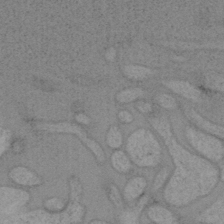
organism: Mouse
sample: OT-I killer T cells with ID8 ovarian cancer cells